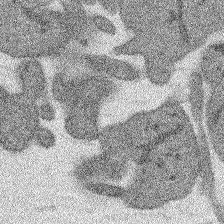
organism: Human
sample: HeLa cells